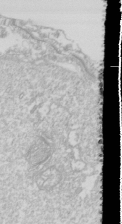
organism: Drosophila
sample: Cell division; meiosis; drosophila spermatocytes